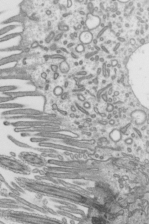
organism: Mouse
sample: Mouse epididymis efferent ductule cilia